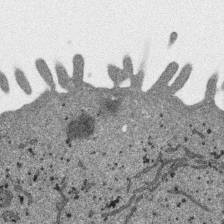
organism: Human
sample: Lung epithelial cells infected with SARS-CoV-2